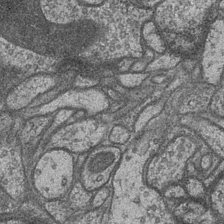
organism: Drosophila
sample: Optic medulla